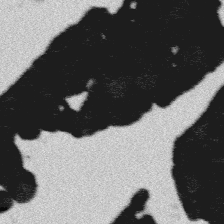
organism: Platynereis dumerilii